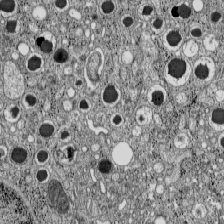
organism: C57BL Mouse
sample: Pancreatic islet